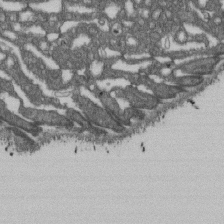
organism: Drosophila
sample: Nephrocyte